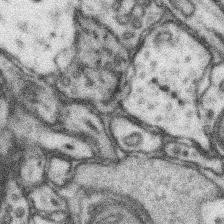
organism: Mouse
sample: Somatosensory cortex neuropil